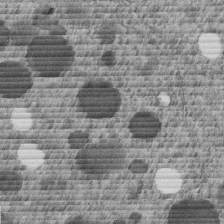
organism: C. elegans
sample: C. elegans embryo early stage